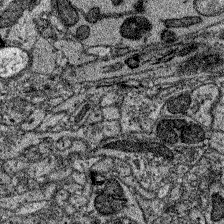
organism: Zebrafish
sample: Larval olfactory bulb